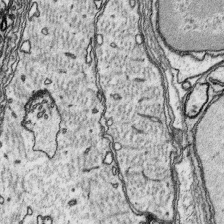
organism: Platynereis dumerilii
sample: Parapodia